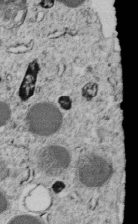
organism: C. elegans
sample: C. elegans embryo early stage